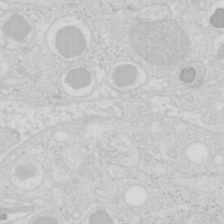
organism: Mouse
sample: Pancreas